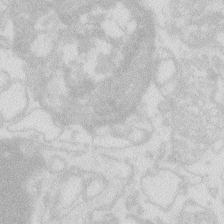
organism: Zebrafish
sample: Macrophage